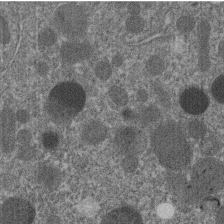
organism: C. elegans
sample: C. elegans embryo early stage